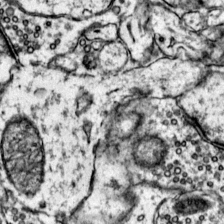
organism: Mouse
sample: Primary visual cortex